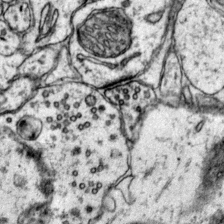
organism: Mouse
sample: Primary visual cortex